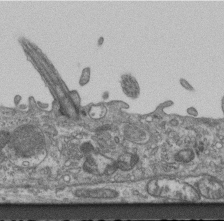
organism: Mouse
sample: Centriole in ependymal cells